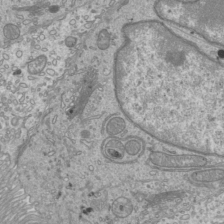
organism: Mouse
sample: Cilia; mouse epididymis